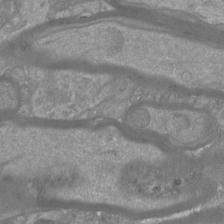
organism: Mouse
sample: Cortical neurons